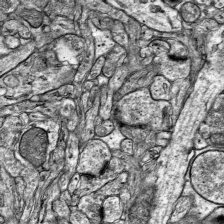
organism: Mouse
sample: Visual Cortex